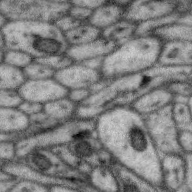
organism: Zebra finch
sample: Brain